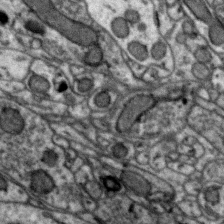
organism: Zebra finch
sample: Brain